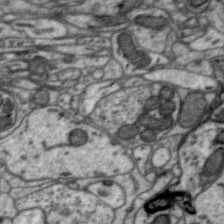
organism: Zebra finch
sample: Brain